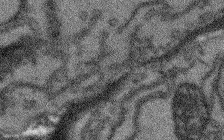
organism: Arabidopsis thaliana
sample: Root tip